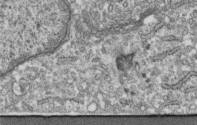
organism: Human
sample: Centriole in fibroblast cells